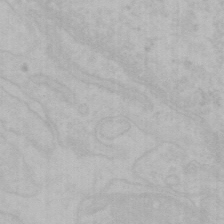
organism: Mouse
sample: Choroid plexus